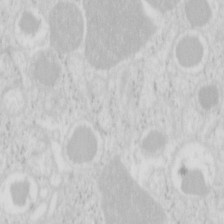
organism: Mouse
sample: Pancreas